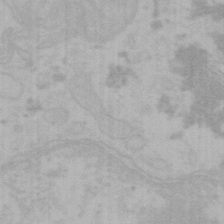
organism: Mouse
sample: Choroid plexus